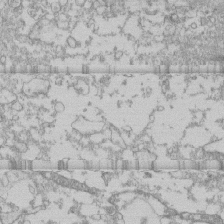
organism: Human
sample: CRL-1474